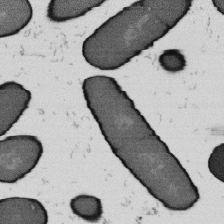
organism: B. subtilis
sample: Bacterial spore